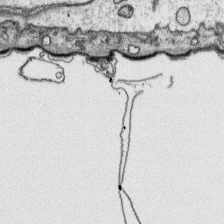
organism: Platynereis dumerilii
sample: Parapodia